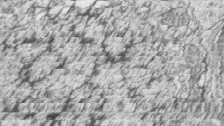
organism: Zebrafish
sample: synaptic ribbons in rod cells and cone cells